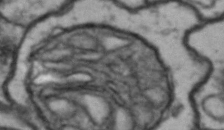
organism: Drosophila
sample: Brain